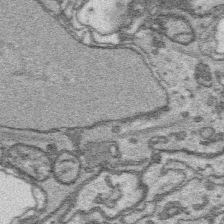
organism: Platynereis dumerilii